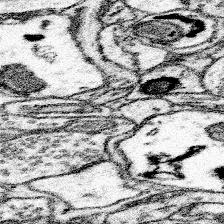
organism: Mouse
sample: Somatosensory cortex neuropil